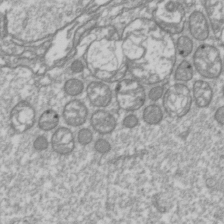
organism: Drosophila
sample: Cell division; meiosis; drosophila spermatocytes